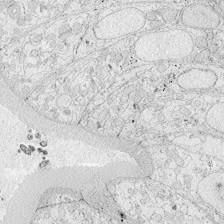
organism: Zebrafish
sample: Whole-Brain